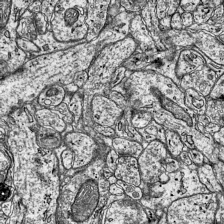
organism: Mouse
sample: Visual Cortex